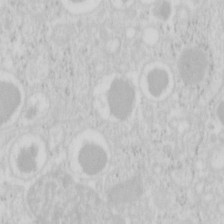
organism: Mouse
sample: Pancreas